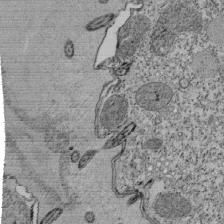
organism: Tetrahymena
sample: Cilia in tetrahymena